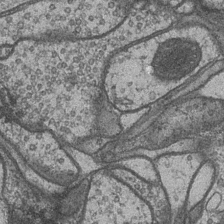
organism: Drosophila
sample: Optic medulla